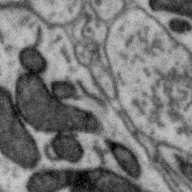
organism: Zebra finch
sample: Brain